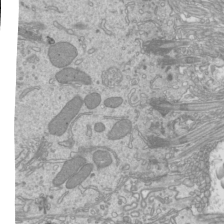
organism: Mouse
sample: Cilia; mouse epididymis